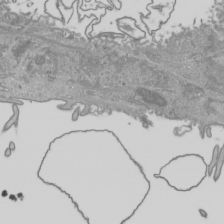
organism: Human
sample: Mitochondria in HCT116 cells